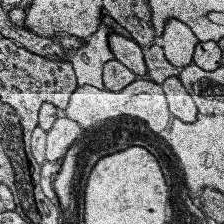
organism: Human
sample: Temporal Lobe